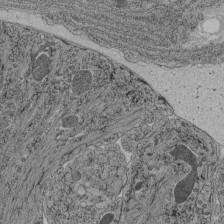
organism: C. elegans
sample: C. elegans pharynx